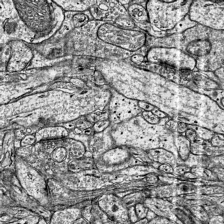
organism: Mouse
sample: Visual Cortex